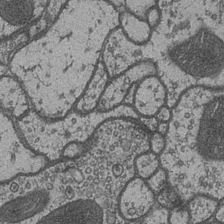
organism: Drosophila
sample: Optic medulla